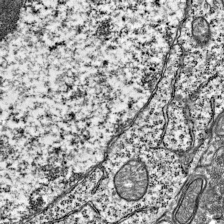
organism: Mouse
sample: Visual Cortex